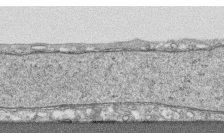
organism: Human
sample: CRL-1474